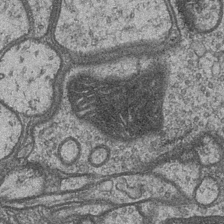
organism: Drosophila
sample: Optic medulla